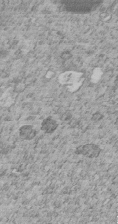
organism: C. elegans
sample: C. elegans embryo early stage